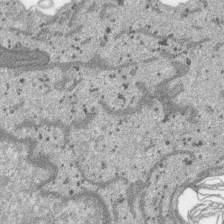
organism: Human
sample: Lung epithelial cells infected with SARS-CoV-2